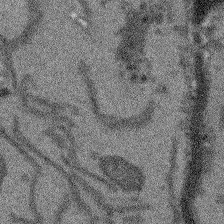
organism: Arabidopsis thaliana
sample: Root tip